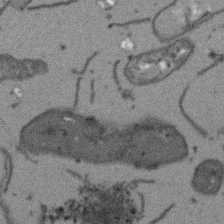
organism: Arabidopsis thaliana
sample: Root tip